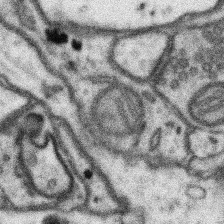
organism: Mouse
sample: Somatosensory cortex neuropil